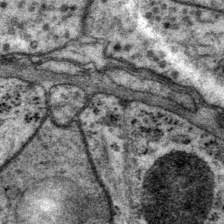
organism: P. pacificus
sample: Pharynx